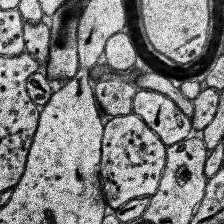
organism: Human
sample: Temporal Lobe